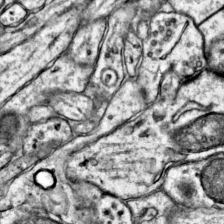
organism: Mouse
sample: Primary visual cortex